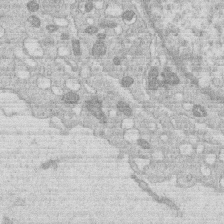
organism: Human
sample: Macrophage cells